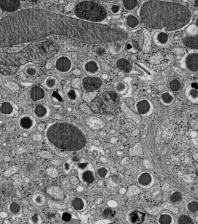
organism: C57BL Mouse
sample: Pancreatic islet